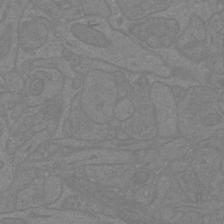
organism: Mouse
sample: Cortical neurons